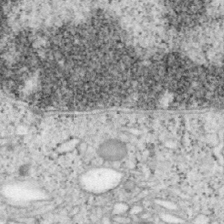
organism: Mouse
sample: OT-I killer T cells with ID8 ovarian cancer cells